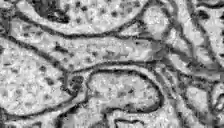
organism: Zebrafish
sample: Brain